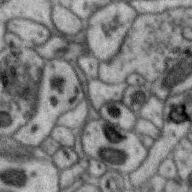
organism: Zebra finch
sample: Brain